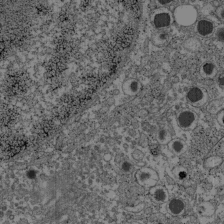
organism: C57BL Mouse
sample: Pancreatic islet